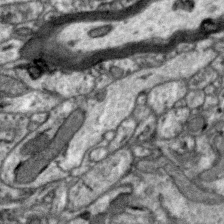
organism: Zebra finch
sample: Brain